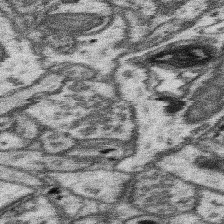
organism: Mouse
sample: Somatosensory cortex neuropil